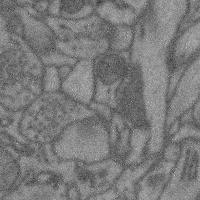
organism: Mouse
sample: Cerebral cortex